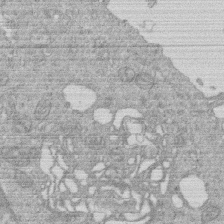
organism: Human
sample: Macrophage cells